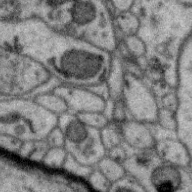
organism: Zebra finch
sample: Brain